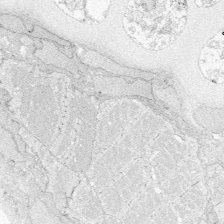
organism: Zebrafish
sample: Whole-Brain